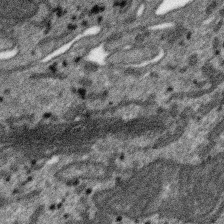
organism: Human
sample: Lung epithelial cells infected with SARS-CoV-2